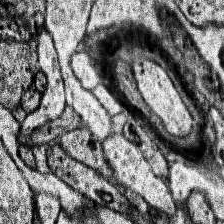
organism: Human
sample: Temporal Lobe